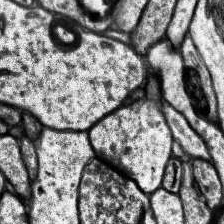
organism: Human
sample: Temporal Lobe